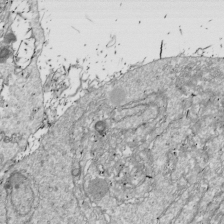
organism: Drosophila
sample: Cell division; meiosis; drosophila spermatocytes